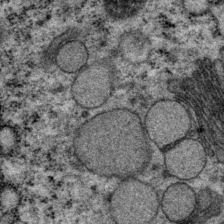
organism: P. pacificus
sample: Pharynx